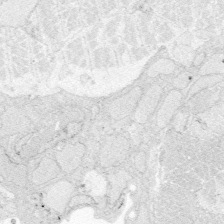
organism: Zebrafish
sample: Whole-Brain